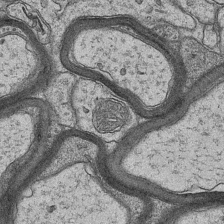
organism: Mouse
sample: CA1 Hippocampus